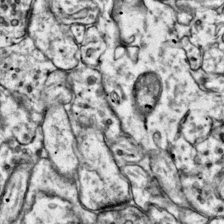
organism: Mouse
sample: Primary visual cortex